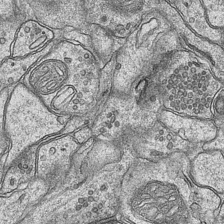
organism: Mouse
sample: CA1 Hippocampus